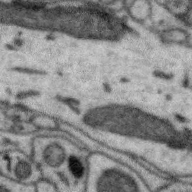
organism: Zebra finch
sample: Brain